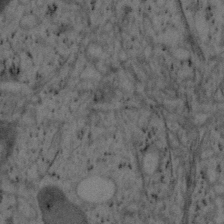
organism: Human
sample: HeLa cells